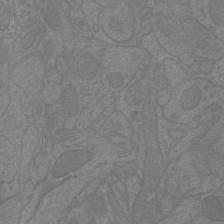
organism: Mouse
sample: Cortical neurons